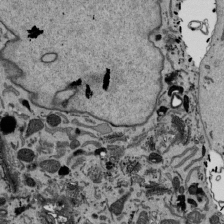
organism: Mouse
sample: ED-1 cell nuclei; centrioles